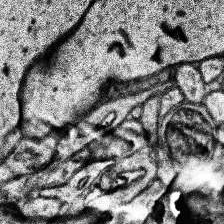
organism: Human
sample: Temporal Lobe